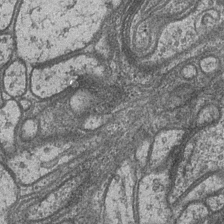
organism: Drosophila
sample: Optic medulla